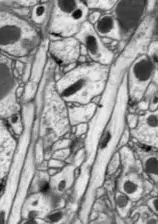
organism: Drosophila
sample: Optic lobe